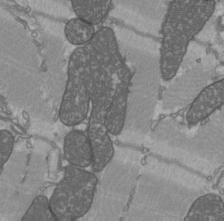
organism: C57BL Mouse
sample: Heart